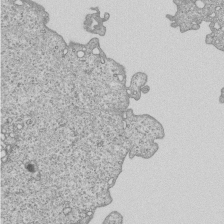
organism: Human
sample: MDA-MB-231 cells